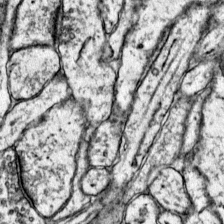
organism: Mouse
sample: Primary visual cortex